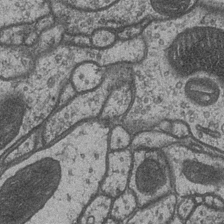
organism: Drosophila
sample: Optic medulla